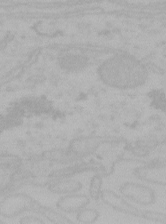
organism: Mouse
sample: Choroid plexus